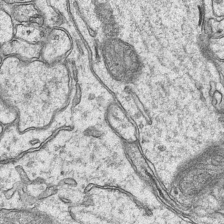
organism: Mouse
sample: CA1 Hippocampus